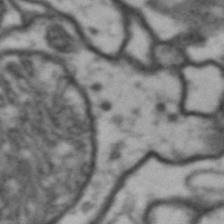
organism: Drosophila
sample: Brain